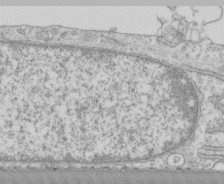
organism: Human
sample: CRL-1474